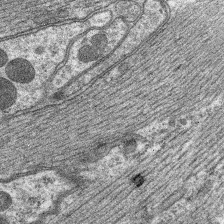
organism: C. elegans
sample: Pharynx